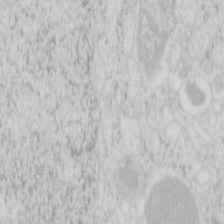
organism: Mouse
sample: Pancreas